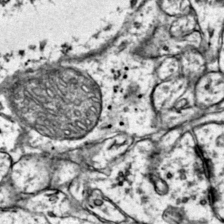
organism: Mouse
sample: Primary visual cortex